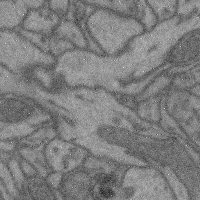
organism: Mouse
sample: Cerebral cortex